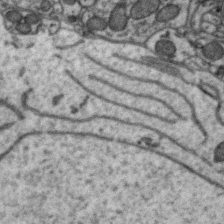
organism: Zebra finch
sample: Brain